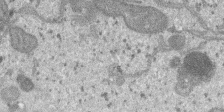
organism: Human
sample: Lung epithelial cells infected with SARS-CoV-2